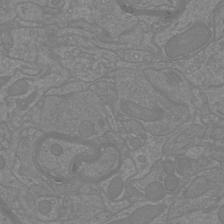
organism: Mouse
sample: Cortical neurons